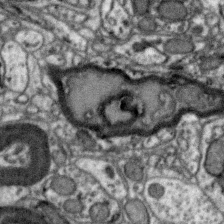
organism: Zebra finch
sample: Brain